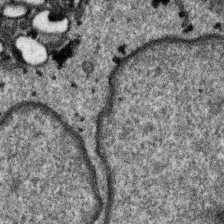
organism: Human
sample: Lung epithelial cells infected with SARS-CoV-2